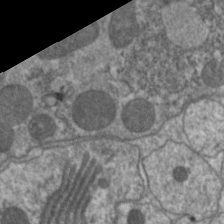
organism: C. elegans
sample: Pharynx